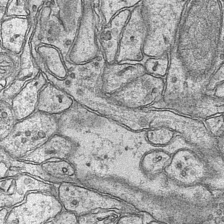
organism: Mouse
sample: CA1 Hippocampus